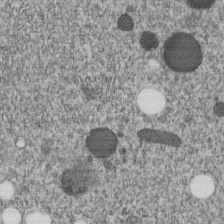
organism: C. elegans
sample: C. elegans embryo early stage